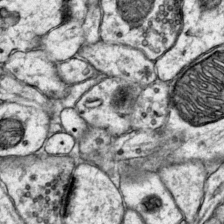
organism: Mouse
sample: Primary visual cortex